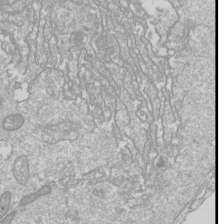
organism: Drosophila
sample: Cell division; meiosis; drosophila spermatocytes